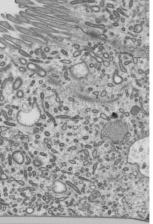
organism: Mouse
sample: Mouse epididymis efferent ductule cilia